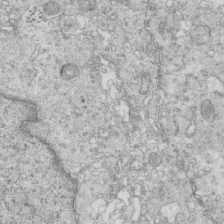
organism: Mouse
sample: Multiciliated cells